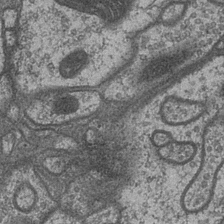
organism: Drosophila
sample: Optic medulla